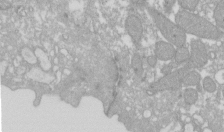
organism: Xenopus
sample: Cilia; centrioles in frog embryo cells